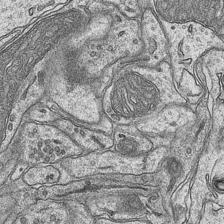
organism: Mouse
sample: CA1 Hippocampus